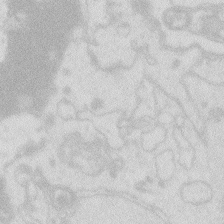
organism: Zebrafish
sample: Macrophage